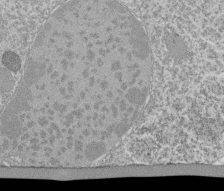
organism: Tetrahymena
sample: Cilia in tetrahymena